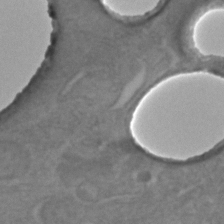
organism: C. elegans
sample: C. elegans embryo